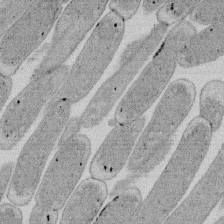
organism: E. coli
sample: Bacterial nucleoid